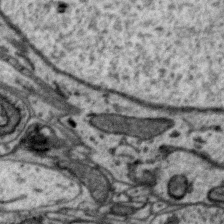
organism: Zebra finch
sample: Brain